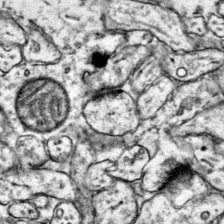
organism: Mouse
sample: Primary visual cortex